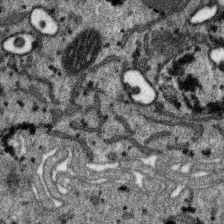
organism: Human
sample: Lung epithelial cells infected with SARS-CoV-2